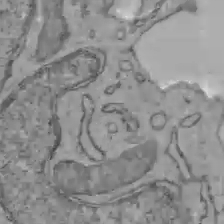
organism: C57BL Mouse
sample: Liver